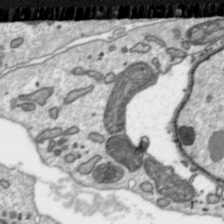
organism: Toxoplasma gondii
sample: Parasites in a vacuole inside a host cell